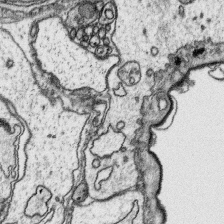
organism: Platynereis dumerilii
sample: Parapodia